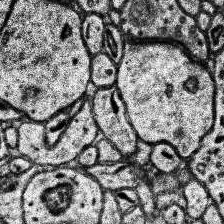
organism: Human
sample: Temporal Lobe